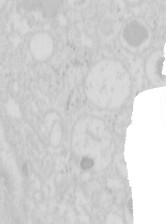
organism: Mouse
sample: Pancreas